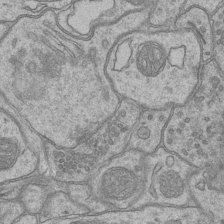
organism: Mouse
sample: CA1 Hippocampus